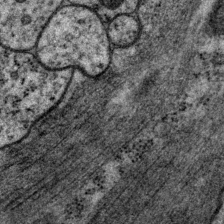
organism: P. pacificus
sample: Pharynx